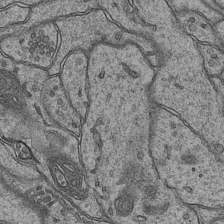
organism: Mouse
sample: CA1 Hippocampus